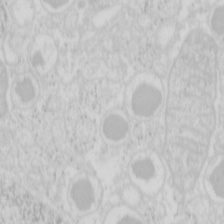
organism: Mouse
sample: Pancreas